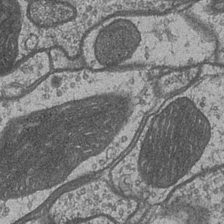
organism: Drosophila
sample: Optic medulla